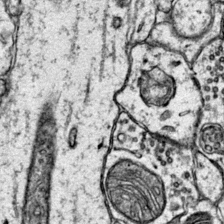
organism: Mouse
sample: Primary visual cortex